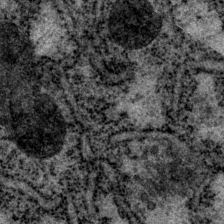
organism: P. pacificus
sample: Pharynx